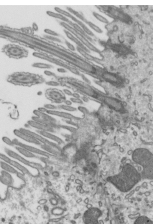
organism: Mouse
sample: Mouse epididymis efferent ductule cilia